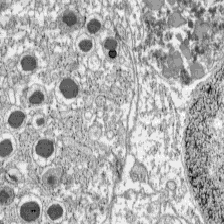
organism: C57BL Mouse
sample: Pancreatic islet